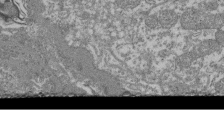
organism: Mouse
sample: Glomerulus